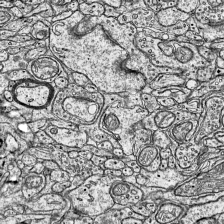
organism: Mouse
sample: Visual Cortex